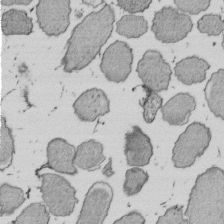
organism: E. coli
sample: Bacterial nucleoid